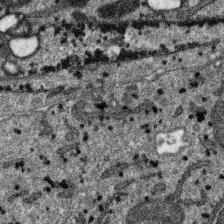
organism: Human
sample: Lung epithelial cells infected with SARS-CoV-2